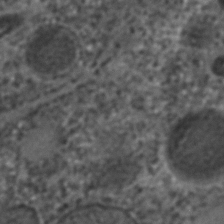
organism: C. elegans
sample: C. elegans embryo